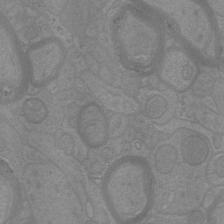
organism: Mouse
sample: Cortical neurons